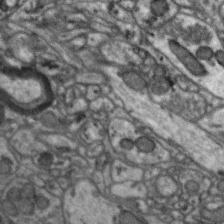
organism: Zebra finch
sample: Brain